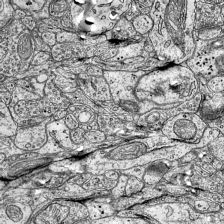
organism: Mouse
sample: Visual Cortex